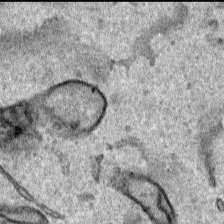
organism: Human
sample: Mitochondria in HCT116 cells